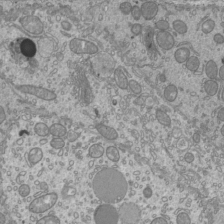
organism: Mouse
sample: Cilia; mouse epididymis